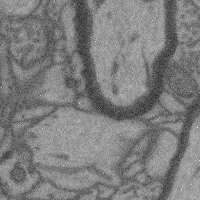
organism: Mouse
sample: Cerebral cortex